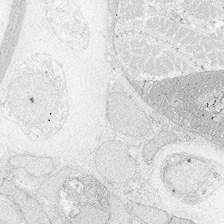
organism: Zebrafish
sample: Whole-Brain